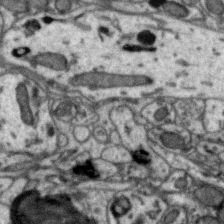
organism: Zebra finch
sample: Brain